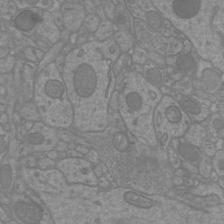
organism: Mouse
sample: Cortical neurons